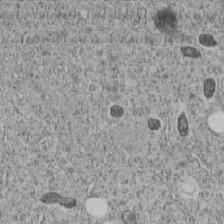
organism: C. elegans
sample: C. elegans embryo early stage